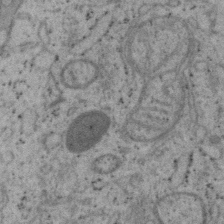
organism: Human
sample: HeLa cells